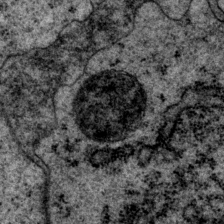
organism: P. pacificus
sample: Pharynx